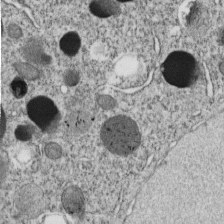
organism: C. elegans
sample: C. elegans embryo early stage